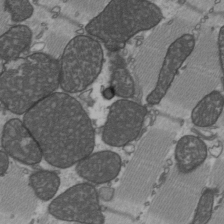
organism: C57BL Mouse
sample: Heart